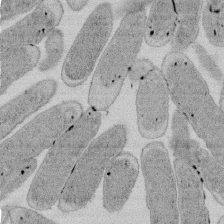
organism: E. coli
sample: Bacterial nucleoid